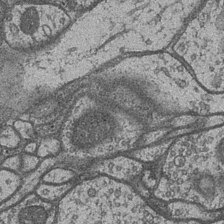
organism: Drosophila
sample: Optic medulla